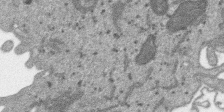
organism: Human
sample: Lung epithelial cells infected with SARS-CoV-2